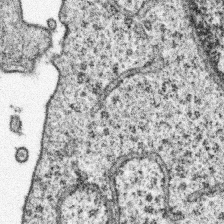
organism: Human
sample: HeLa cells